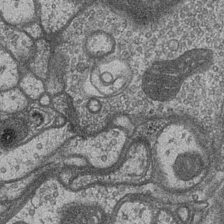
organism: Drosophila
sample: Optic medulla